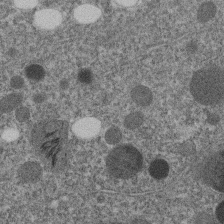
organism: C. elegans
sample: C. elegans embryo early stage